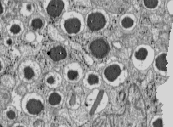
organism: C57BL Mouse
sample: Pancreatic islet